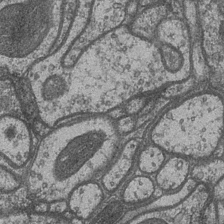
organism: Drosophila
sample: Optic medulla